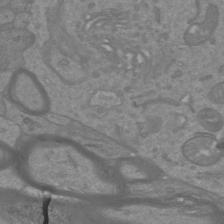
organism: Mouse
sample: Cortical neurons